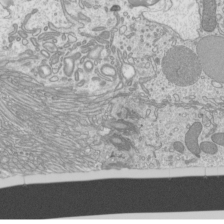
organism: Mouse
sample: Cilia; mouse epididymis